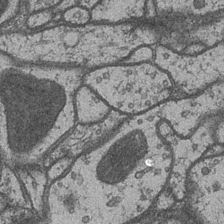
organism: Drosophila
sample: Optic medulla